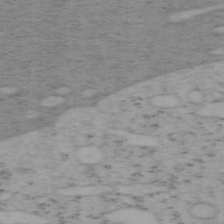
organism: Mouse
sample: OT-I killer T cells with ID8 ovarian cancer cells